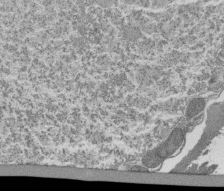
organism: Tetrahymena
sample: Cilia in tetrahymena